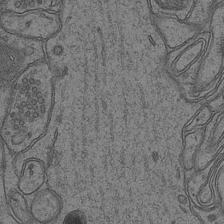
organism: Mouse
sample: CA1 Hippocampus